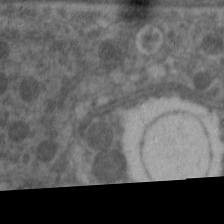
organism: C. elegans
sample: Pharynx